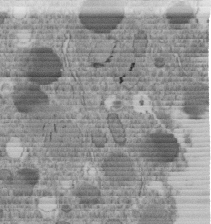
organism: C. elegans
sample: C. elegans embryo early stage